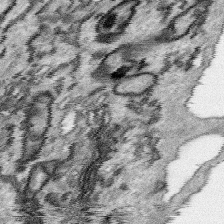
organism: Human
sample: HeLa cells